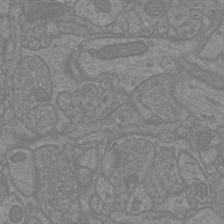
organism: Mouse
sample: Cortical neurons